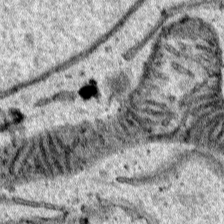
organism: Human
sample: Mitochondria in HCT116 cells